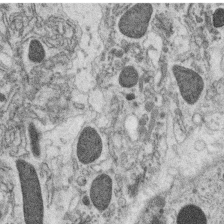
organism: C. elegans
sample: C. elegans oocyte; sperm cells